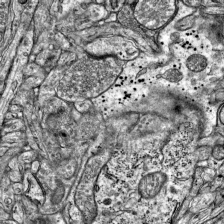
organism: Mouse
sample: Visual Cortex